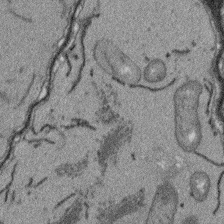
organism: Arabidopsis thaliana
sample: Root tip